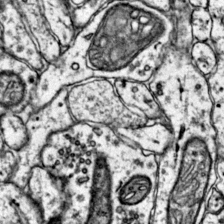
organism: Mouse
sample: Primary visual cortex